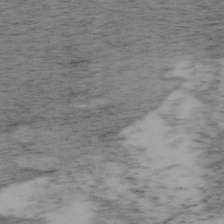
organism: Mouse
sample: OT-I killer T cells with ID8 ovarian cancer cells